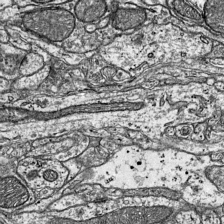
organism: Mouse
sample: Visual Cortex